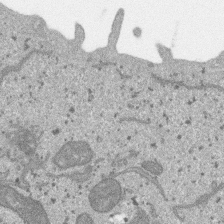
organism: Human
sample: Lung epithelial cells infected with SARS-CoV-2